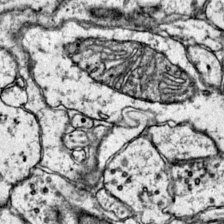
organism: Mouse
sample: Primary visual cortex